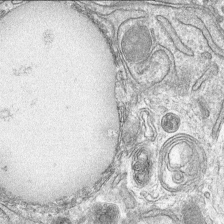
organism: Mouse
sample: Mouse hepatocytes